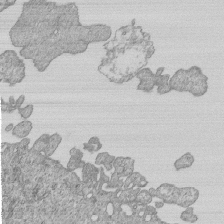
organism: Human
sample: MDA-MB-231 cells